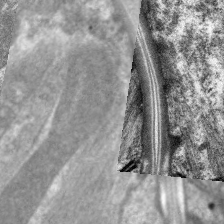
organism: C. elegans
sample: Pharynx